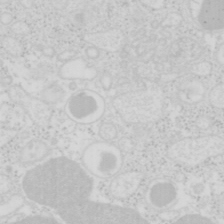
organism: Mouse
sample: Pancreas